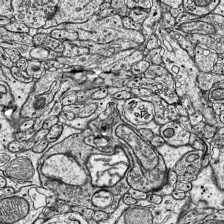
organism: Mouse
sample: Visual Cortex